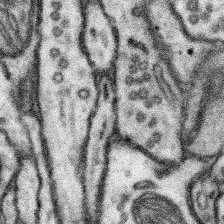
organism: Mouse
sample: Somatosensory cortex neuropil